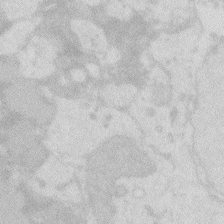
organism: Zebrafish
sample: Macrophage